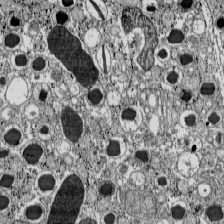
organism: C57BL Mouse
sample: Pancreatic islet